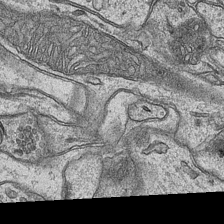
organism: Mouse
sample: CA1 Hippocampus